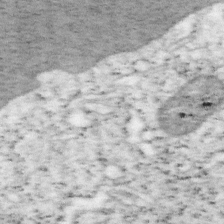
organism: Mouse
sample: OT-I killer T cells with ID8 ovarian cancer cells